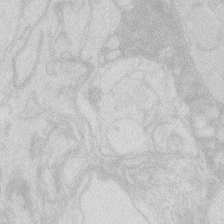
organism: Zebrafish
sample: Macrophage